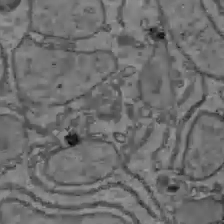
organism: C57BL Mouse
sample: Liver